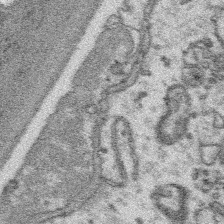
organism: Platynereis dumerilii